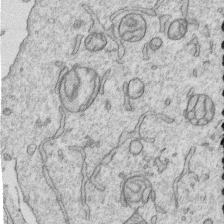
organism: Human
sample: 1205lu cells